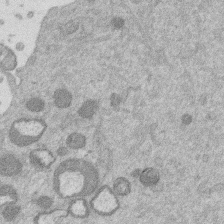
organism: Mouse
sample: Dividing mouse embryo 1 cell stage